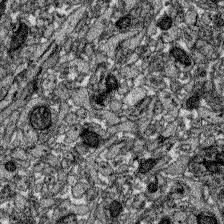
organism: Zebrafish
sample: Larval olfactory bulb